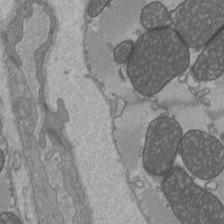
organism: C57BL Mouse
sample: Heart